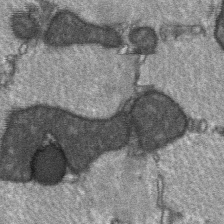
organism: C57BL Mouse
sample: Soleus